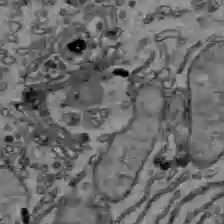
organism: C57BL Mouse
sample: Liver